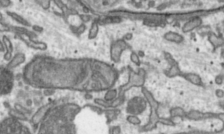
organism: Toxoplasma gondii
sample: Parasites in a vacuole inside a host cell